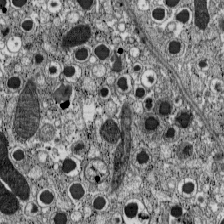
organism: C57BL Mouse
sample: Pancreatic islet